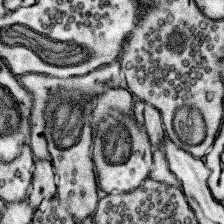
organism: Mouse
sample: Somatosensory cortex neuropil